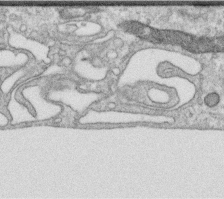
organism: Human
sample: Centriole in RPE cells